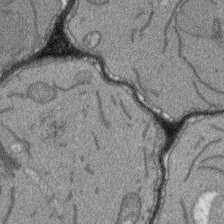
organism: Arabidopsis thaliana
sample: Root tip